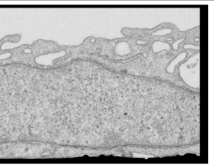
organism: Human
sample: Centriole in RPE cells